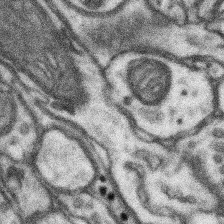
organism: Mouse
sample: Somatosensory cortex neuropil